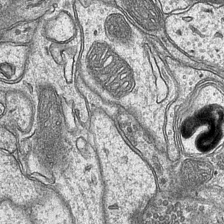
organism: Mouse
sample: CA1 Hippocampus